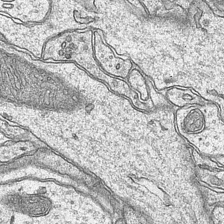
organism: Mouse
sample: CA1 Hippocampus